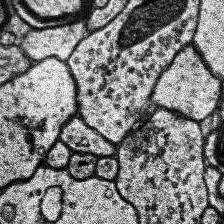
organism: Human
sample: Temporal Lobe